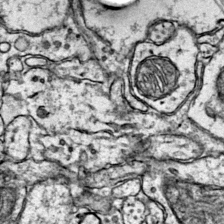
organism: Mouse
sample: Primary visual cortex